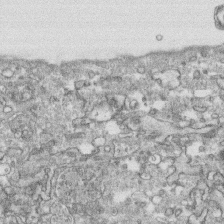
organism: Human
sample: CRL-1474